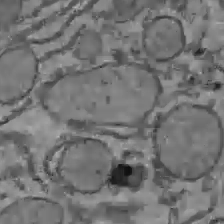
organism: C57BL Mouse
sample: Liver